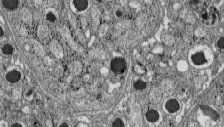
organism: C57BL Mouse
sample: Pancreatic islet